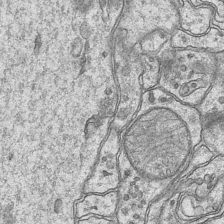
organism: Mouse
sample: CA1 Hippocampus